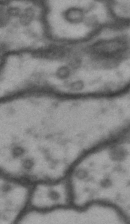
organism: Drosophila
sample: Brain